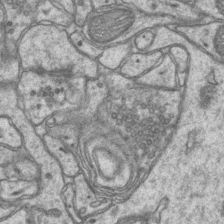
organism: Mouse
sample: CA1 Hippocampus